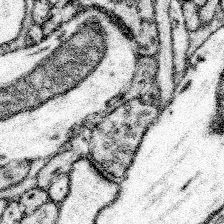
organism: Mouse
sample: Somatosensory cortex neuropil